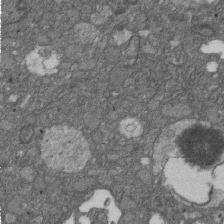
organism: Drosophila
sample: Nephrocyte